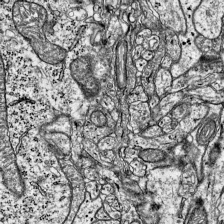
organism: Mouse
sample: Visual Cortex